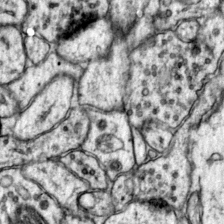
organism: Mouse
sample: Primary visual cortex